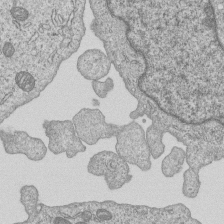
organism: Human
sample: MDA-MB-231 cells